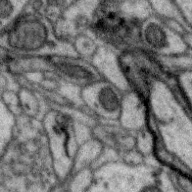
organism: Zebra finch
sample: Brain